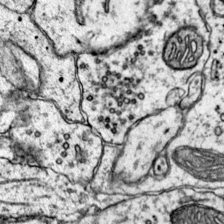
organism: Mouse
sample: Primary visual cortex